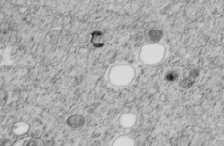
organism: C. elegans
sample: C. elegans embryo early stage